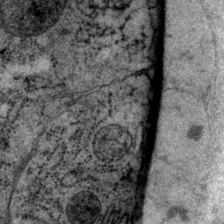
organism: P. pacificus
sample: Pharynx